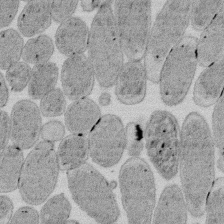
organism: E. coli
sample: Bacterial nucleoid